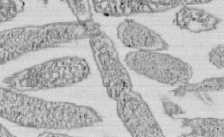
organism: E. coli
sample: Bacterial nucleoid